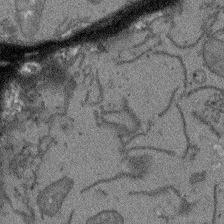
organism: Arabidopsis thaliana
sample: Root tip